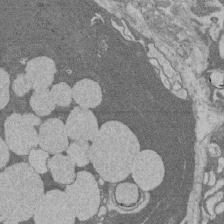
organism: Rat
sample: Salivary granule